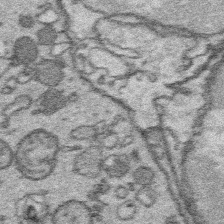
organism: Platynereis dumerilii